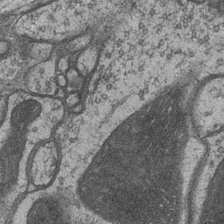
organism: Drosophila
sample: Optic medulla